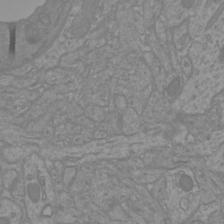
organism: Mouse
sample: Cortical neurons